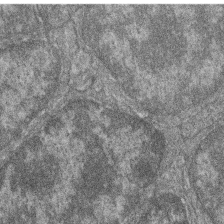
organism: Zebrafish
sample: Cilia; retinal pigment epithelium